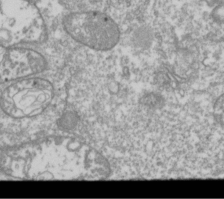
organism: Drosophila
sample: Cell division; meiosis; drosophila spermatocytes